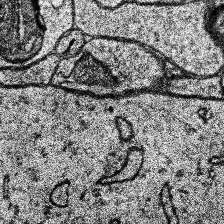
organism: Human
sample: Temporal Lobe